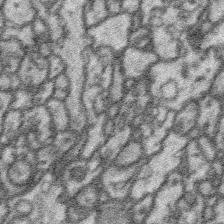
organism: Platynereis dumerilii